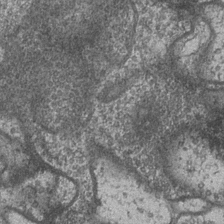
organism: Drosophila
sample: Optic medulla